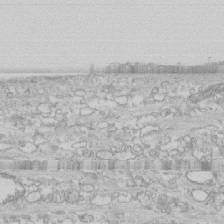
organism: Human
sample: CRL-1474